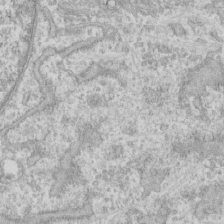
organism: Human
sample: CRL-1474